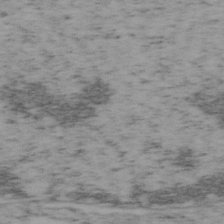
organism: Mouse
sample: OT-I killer T cells with ID8 ovarian cancer cells